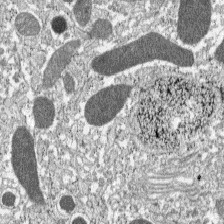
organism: C57BL Mouse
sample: Pancreatic islet